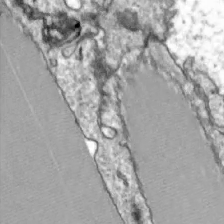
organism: Zebrafish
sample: Actinotrichia fibers